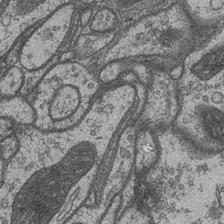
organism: Drosophila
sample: Optic medulla